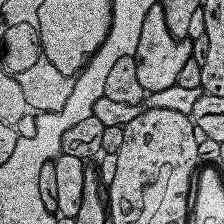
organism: Human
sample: Temporal Lobe